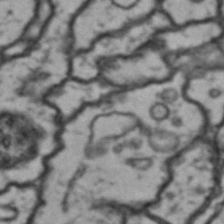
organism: Drosophila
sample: Brain